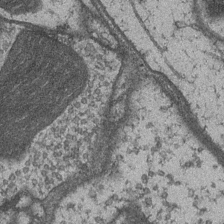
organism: Drosophila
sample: Optic medulla